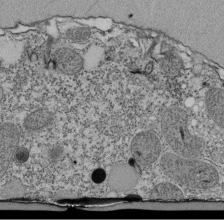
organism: Tetrahymena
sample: Cilia in tetrahymena